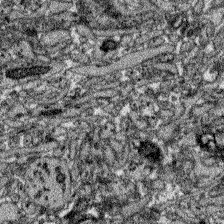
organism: Zebrafish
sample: Larval olfactory bulb